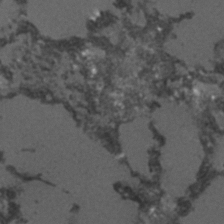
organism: C. elegans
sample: C. elegans embryo